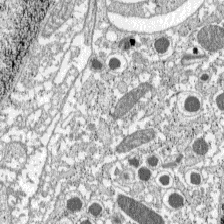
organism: C57BL Mouse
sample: Pancreatic islet